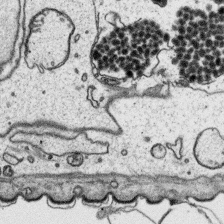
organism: Platynereis dumerilii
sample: Parapodia